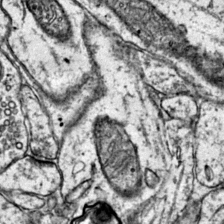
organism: Mouse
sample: Primary visual cortex